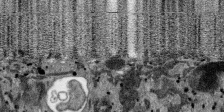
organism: Human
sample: Lung epithelial cells, uninfected (mock) control